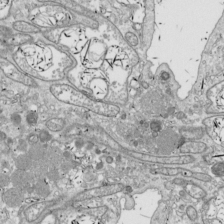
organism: Drosophila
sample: Cell division; meiosis; drosophila spermatocytes